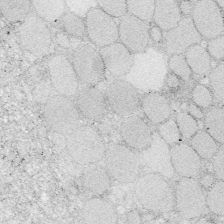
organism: Zebrafish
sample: Whole-Brain